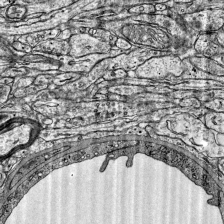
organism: Mouse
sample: Visual Cortex